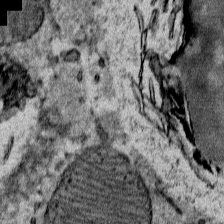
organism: Mouse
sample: Mouse Salivary gland